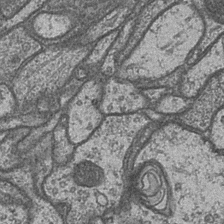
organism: Drosophila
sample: Optic medulla